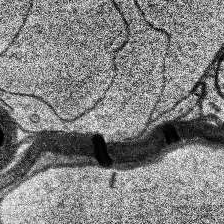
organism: Human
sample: Temporal Lobe